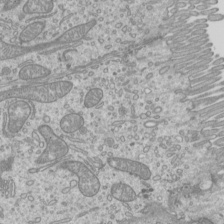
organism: Mouse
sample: Cilia; mouse epididymis